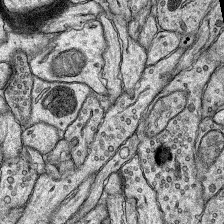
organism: Rat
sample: Hippocampus